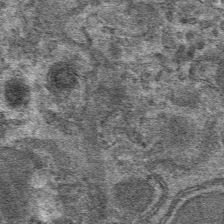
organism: Mouse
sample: Mouse hepatocytes